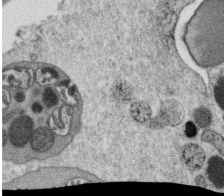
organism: C. elegans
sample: C. elegans oocyte; sperm cells